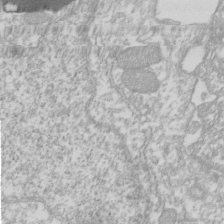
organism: Xenopus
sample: Cilia; centrioles in frog embryo cells